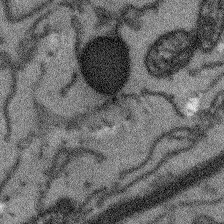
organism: Arabidopsis thaliana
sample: Root tip